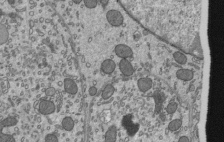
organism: Mouse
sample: Mouse epididymis efferent ductule cilia